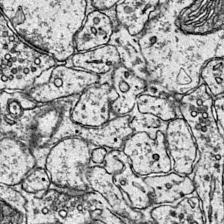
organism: Mouse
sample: Primary visual cortex